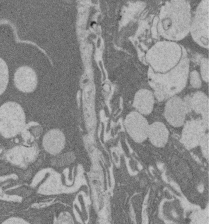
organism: Rat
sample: Salivary granule